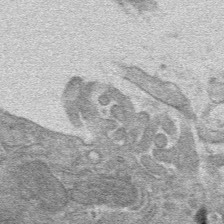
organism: Mouse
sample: Mouse hepatocytes